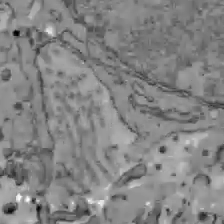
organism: C57BL Mouse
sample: Liver